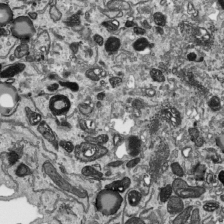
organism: Human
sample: Mitochondria in HCT116 cells